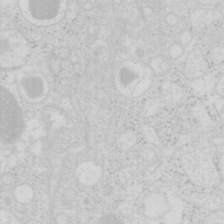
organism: Mouse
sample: Pancreas